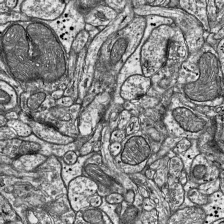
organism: Mouse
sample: Visual Cortex